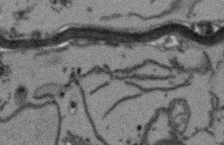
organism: Arabidopsis thaliana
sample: Root tip